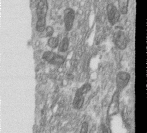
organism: Human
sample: Centriole in RPE cells